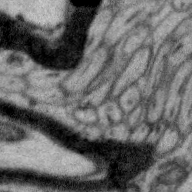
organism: Zebra finch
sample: Brain